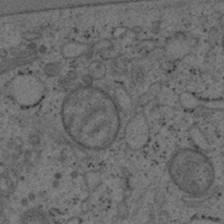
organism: Human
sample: HeLa cells